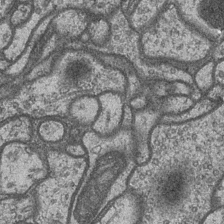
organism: Drosophila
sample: Optic medulla